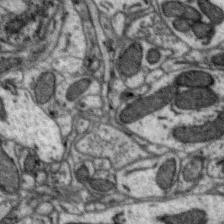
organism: Zebra finch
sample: Brain